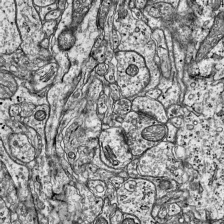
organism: Mouse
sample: Visual Cortex